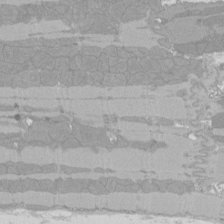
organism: Rat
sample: Left ventricle